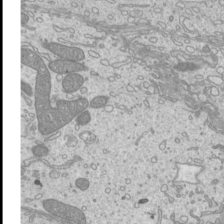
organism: Mouse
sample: Cilia; mouse epididymis